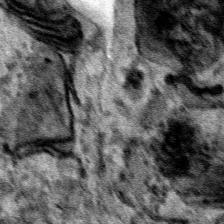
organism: Human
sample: Mitochondria in HCT116 cells